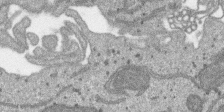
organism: Human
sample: Lung epithelial cells infected with SARS-CoV-2